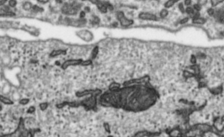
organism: Toxoplasma gondii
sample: Parasites in a vacuole inside a host cell